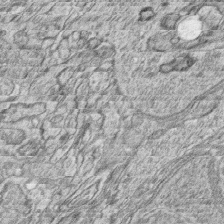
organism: Zebrafish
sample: synaptic ribbons in rod cells and cone cells